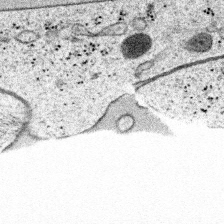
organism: Human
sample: HeLa cells